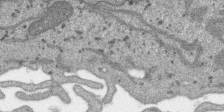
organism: Human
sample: Lung epithelial cells infected with SARS-CoV-2